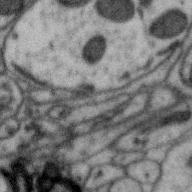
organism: Zebra finch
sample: Brain